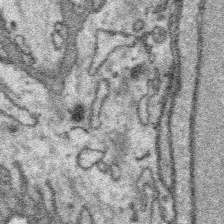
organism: Platynereis dumerilii